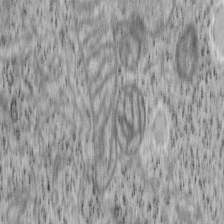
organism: Human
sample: HeLa cells